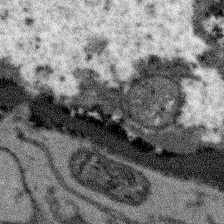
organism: Arabidopsis thaliana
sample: Root tip